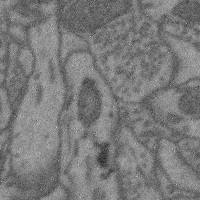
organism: Mouse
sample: Cerebral cortex